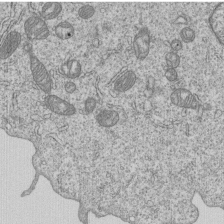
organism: Human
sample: MDA-MB-231 cells